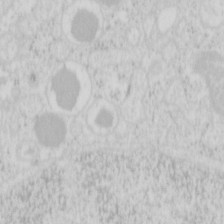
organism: Mouse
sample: Pancreas